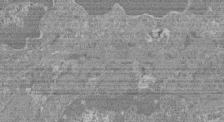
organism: Mouse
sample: Glomerulus